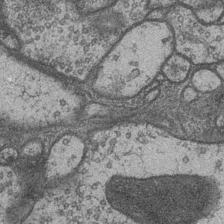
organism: Drosophila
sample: Optic medulla